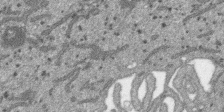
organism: Human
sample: Lung epithelial cells infected with SARS-CoV-2